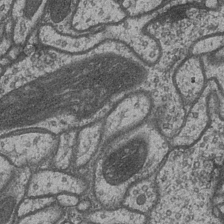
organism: Drosophila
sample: Optic medulla